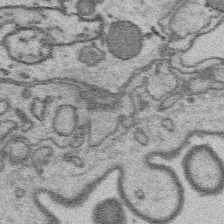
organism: Platynereis dumerilii